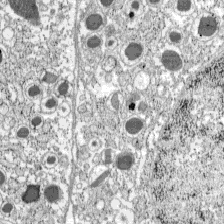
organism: C57BL Mouse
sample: Pancreatic islet